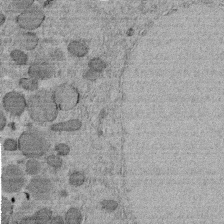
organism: C. elegans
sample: C. elegans embryo early stage